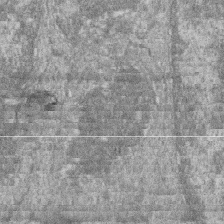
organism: Zebrafish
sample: Cilia; retinal pigment epithelium